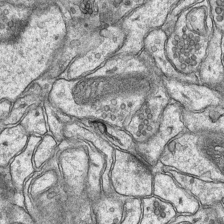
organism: Mouse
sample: CA1 Hippocampus